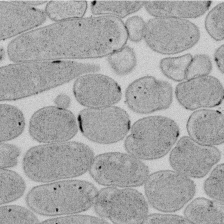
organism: E. coli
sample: Bacterial nucleoid